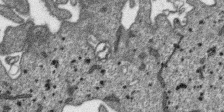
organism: Human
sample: Lung epithelial cells infected with SARS-CoV-2